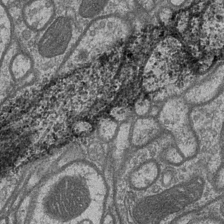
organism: Drosophila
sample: Optic medulla